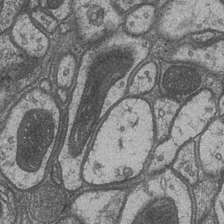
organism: Drosophila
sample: Optic medulla